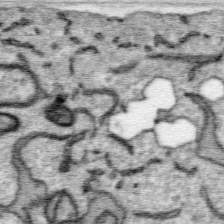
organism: Human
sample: HeLa cells